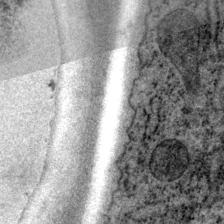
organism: P. pacificus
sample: Pharynx